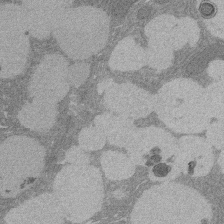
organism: Rat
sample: Salivary granule